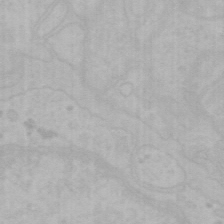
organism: Mouse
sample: Choroid plexus